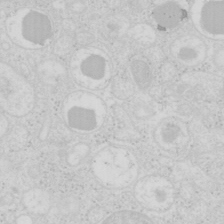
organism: Mouse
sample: Pancreas